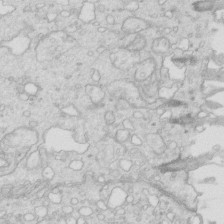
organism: Mouse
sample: Multiciliated cells